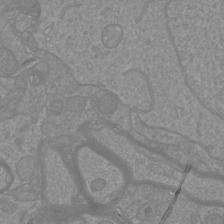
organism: Mouse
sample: Cortical neurons